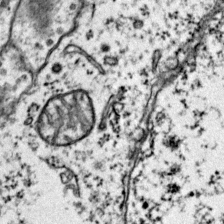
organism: Mouse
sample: Primary visual cortex